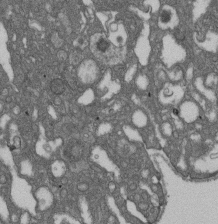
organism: Drosophila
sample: Nephrocyte